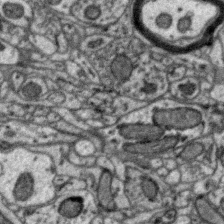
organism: Zebra finch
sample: Brain